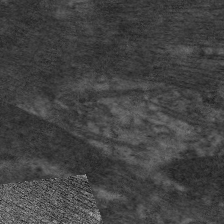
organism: C. elegans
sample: Pharynx